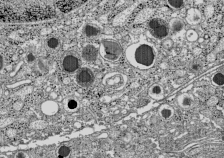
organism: C57BL Mouse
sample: Pancreatic islet